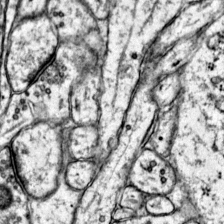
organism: Mouse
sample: Primary visual cortex